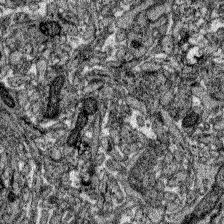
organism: Zebrafish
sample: Larval olfactory bulb